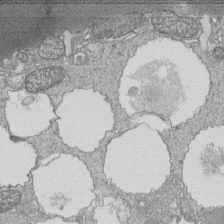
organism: Tetrahymena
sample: Cilia in tetrahymena